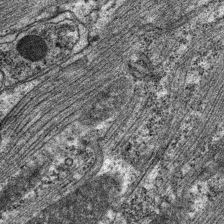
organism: C. elegans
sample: Pharynx